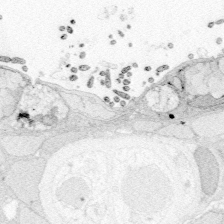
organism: Zebrafish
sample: Whole-Brain